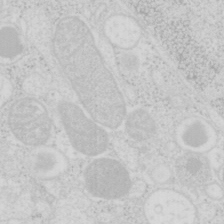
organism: Mouse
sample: Pancreas